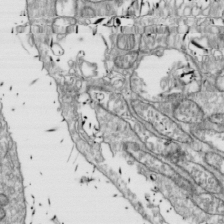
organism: Drosophila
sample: Cell division; meiosis; drosophila spermatocytes